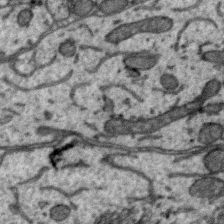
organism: Zebra finch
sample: Brain